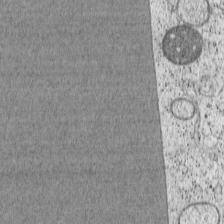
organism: African green monkey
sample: COS-7 cells